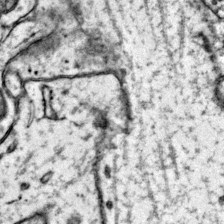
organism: Mouse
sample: Primary visual cortex